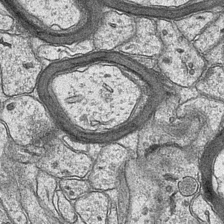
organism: Mouse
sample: CA1 Hippocampus